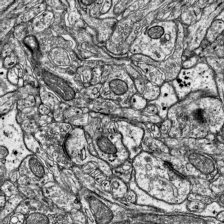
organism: Mouse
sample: Visual Cortex